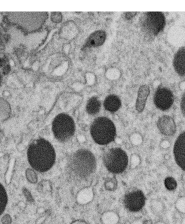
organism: C. elegans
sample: C. elegans oocyte; sperm cells